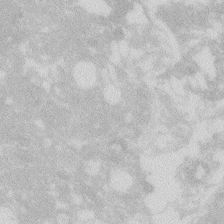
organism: Zebrafish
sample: Macrophage